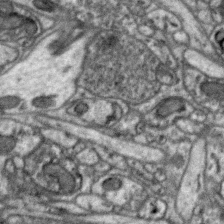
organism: Zebra finch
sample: Brain